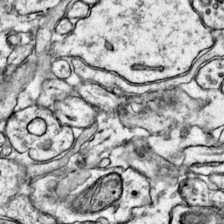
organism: Mouse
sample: Primary visual cortex